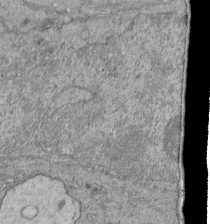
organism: Human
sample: Retinal organoid Rod and Cone cells